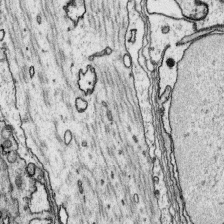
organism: Platynereis dumerilii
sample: Parapodia